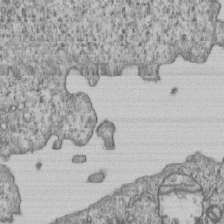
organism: Human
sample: MDA-MB-231 cells